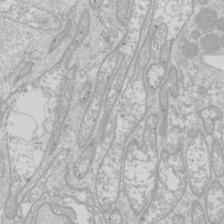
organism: Drosophila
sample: Cell division; meiosis; drosophila spermatocytes